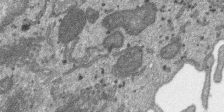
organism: Human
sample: Lung epithelial cells infected with SARS-CoV-2